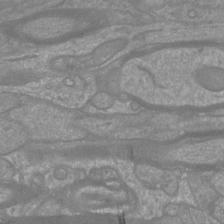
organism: Mouse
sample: Cortical neurons